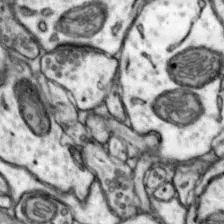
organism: Mouse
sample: Nucleus accumbens